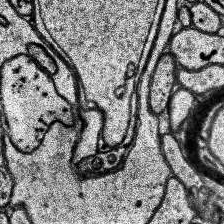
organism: Human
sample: Temporal Lobe